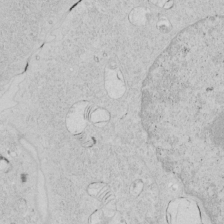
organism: Human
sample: Mitochondria in HCT116 cells